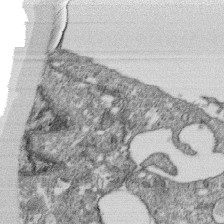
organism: African green monkey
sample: Vero E6 cells infected with SARS-CoV-2